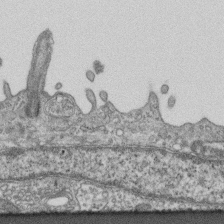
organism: Mouse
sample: Centriole in ependymal cells